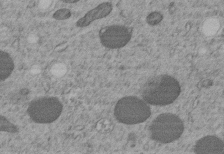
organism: C. elegans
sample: C. elegans embryo early stage